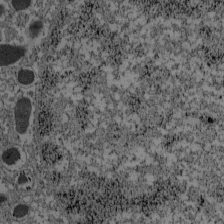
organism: C57BL Mouse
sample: Pancreatic islet